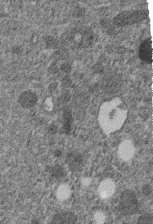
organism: C. elegans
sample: C. elegans embryo early stage